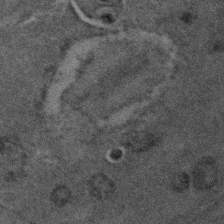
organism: C. elegans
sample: C. elegans embryo